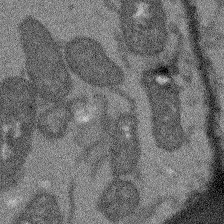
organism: Arabidopsis thaliana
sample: Root tip